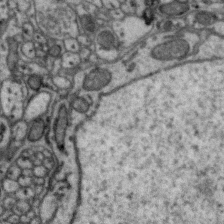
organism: Zebra finch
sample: Brain